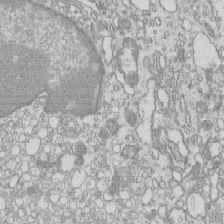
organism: Mouse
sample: Macrophages